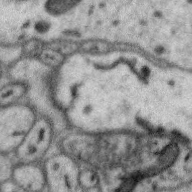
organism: Zebra finch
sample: Brain